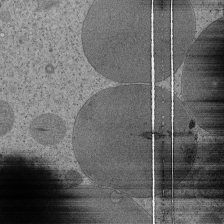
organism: Tetrahymena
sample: Cilia in tetrahymena